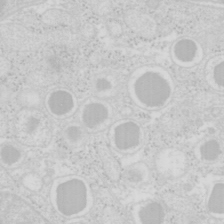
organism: Mouse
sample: Pancreas